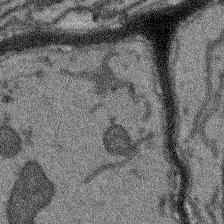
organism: Arabidopsis thaliana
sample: Root tip